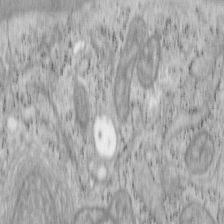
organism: Human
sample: HeLa cells